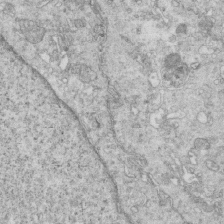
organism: Mouse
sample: Multiciliated cells